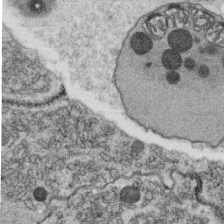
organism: C. elegans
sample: C. elegans oocyte; sperm cells